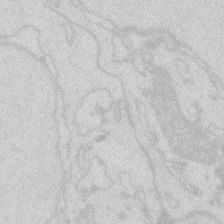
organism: Zebrafish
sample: Macrophage